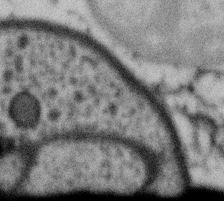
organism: Gemmata obscuriglobus